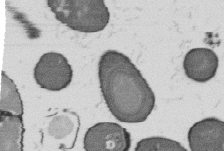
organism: B. subtilis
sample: Bacterial spore